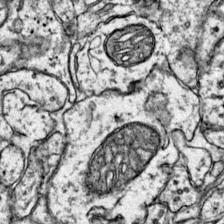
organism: Mouse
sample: Primary visual cortex